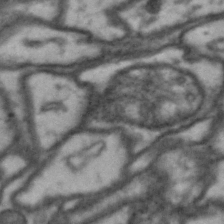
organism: Drosophila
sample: Brain